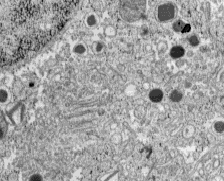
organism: C57BL Mouse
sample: Pancreatic islet